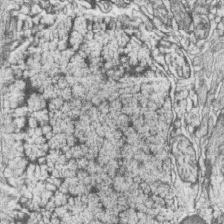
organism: Zebrafish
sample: synaptic ribbons in rod cells and cone cells